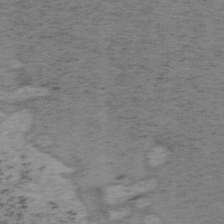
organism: Mouse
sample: OT-I killer T cells with ID8 ovarian cancer cells